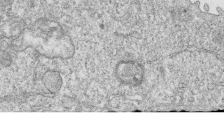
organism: Human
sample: HeLa cell HIV synapse